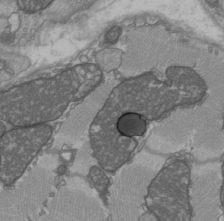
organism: C57BL Mouse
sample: Heart